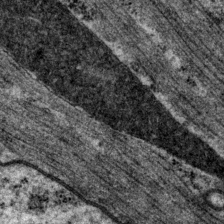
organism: P. pacificus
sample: Pharynx